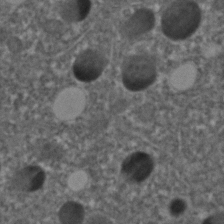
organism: C. elegans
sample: C. elegans embryo